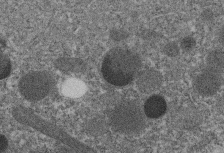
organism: C. elegans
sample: C. elegans embryo early stage